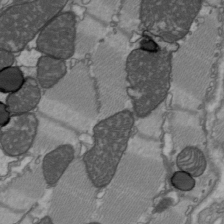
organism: C57BL Mouse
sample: Heart